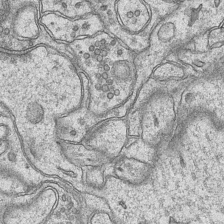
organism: Mouse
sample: CA1 Hippocampus